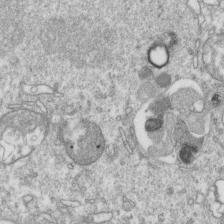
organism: Mouse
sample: Activated OT-1 CD8+ T cells